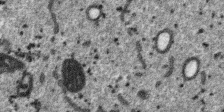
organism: Human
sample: Lung epithelial cells infected with SARS-CoV-2